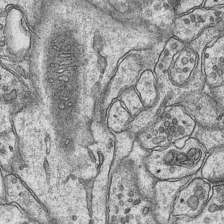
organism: Mouse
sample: CA1 Hippocampus